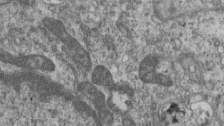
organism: Mouse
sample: Centriole in ependymal cells